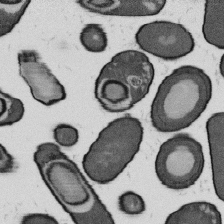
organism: B. subtilis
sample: Bacterial spore